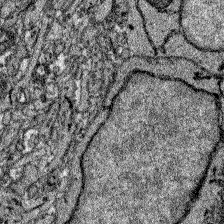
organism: Zebrafish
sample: Larval olfactory bulb